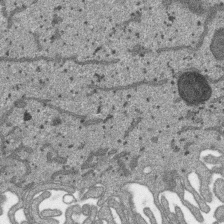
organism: Human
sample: Lung epithelial cells infected with SARS-CoV-2